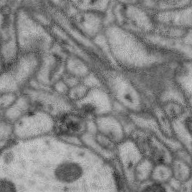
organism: Zebra finch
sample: Brain